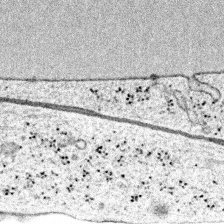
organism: Human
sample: HeLa cells